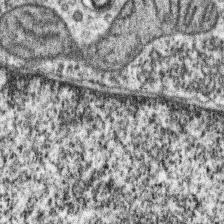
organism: Human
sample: HeLa cells